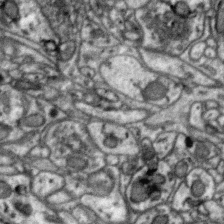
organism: Zebra finch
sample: Brain